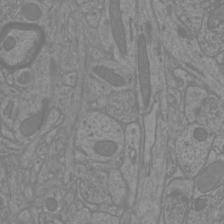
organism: Mouse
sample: Cortical neurons